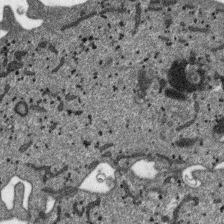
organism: Human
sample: Lung epithelial cells infected with SARS-CoV-2